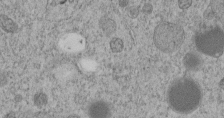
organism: C. elegans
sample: C. elegans embryo early stage